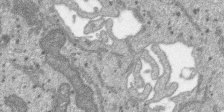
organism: Human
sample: Lung epithelial cells infected with SARS-CoV-2